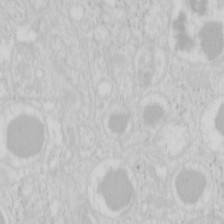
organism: Mouse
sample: Pancreas